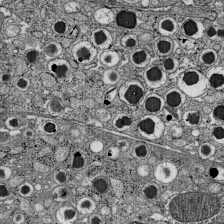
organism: C57BL Mouse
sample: Pancreatic islet